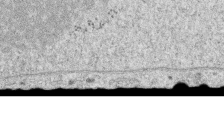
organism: Human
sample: HeLa cell HIV synapse